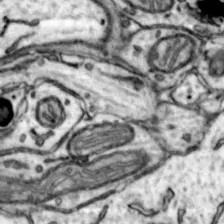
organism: Mouse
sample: Nucleus accumbens